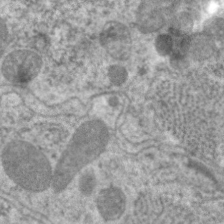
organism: C. elegans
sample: Pharynx